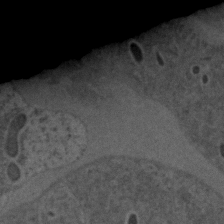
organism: C. elegans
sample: C. elegans embryo